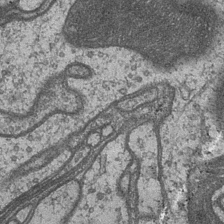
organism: Drosophila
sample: Optic medulla